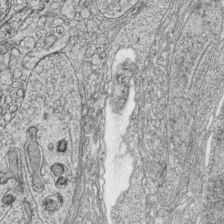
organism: Zebrafish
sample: synaptic ribbons in rod cells and cone cells